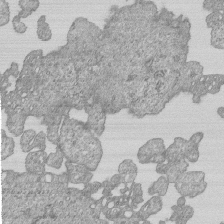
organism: Human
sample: MDA-MB-231 cells